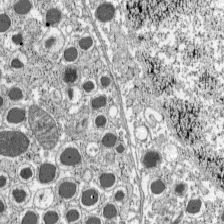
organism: C57BL Mouse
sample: Pancreatic islet